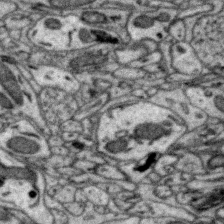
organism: Zebra finch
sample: Brain